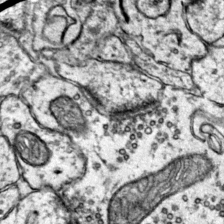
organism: Mouse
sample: Primary visual cortex